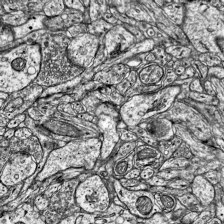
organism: Mouse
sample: Visual Cortex